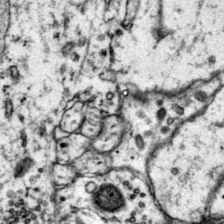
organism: Mouse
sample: Primary visual cortex